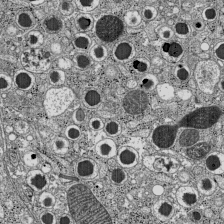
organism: C57BL Mouse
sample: Pancreatic islet